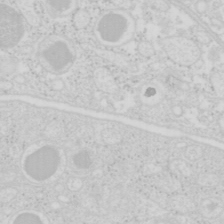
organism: Mouse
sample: Pancreas